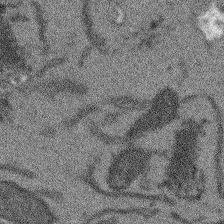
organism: Arabidopsis thaliana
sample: Root tip